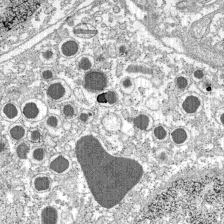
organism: C57BL Mouse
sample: Pancreatic islet